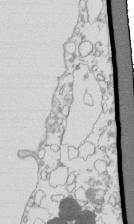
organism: Mouse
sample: Macrophages